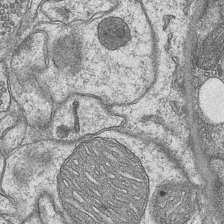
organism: Mouse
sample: CA1 Hippocampus